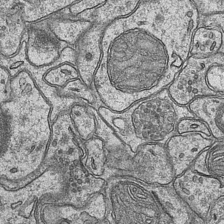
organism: Mouse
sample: CA1 Hippocampus